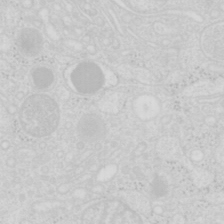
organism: Mouse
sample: Pancreas